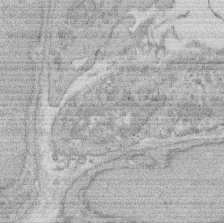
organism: Rat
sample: Salivary granule